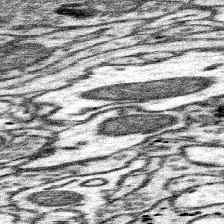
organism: Mouse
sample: Somatosensory cortex neuropil